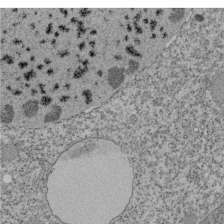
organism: Tetrahymena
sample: Cilia in tetrahymena